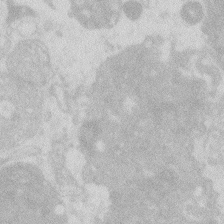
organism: Zebrafish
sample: Macrophage